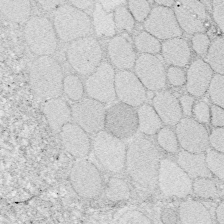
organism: Zebrafish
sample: Whole-Brain